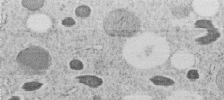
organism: C. elegans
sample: C. elegans embryo early stage